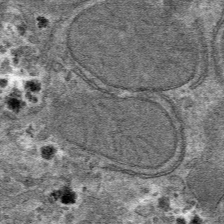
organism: Mouse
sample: Mouse hepatocytes